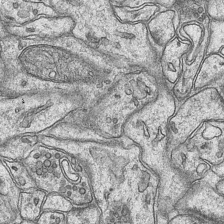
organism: Mouse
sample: CA1 Hippocampus